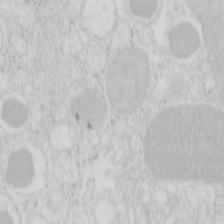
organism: Mouse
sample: Pancreas